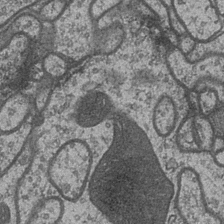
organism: Drosophila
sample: Optic medulla